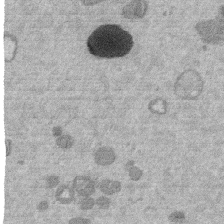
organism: Mouse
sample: Dividing mouse embryo 1 cell stage